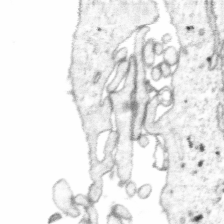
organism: Human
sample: HeLa cells